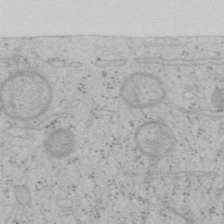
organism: Human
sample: HeLa cells